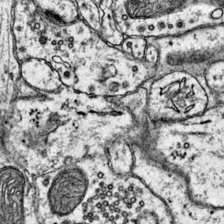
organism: Mouse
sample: Primary visual cortex